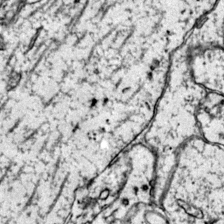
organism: Mouse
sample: Primary visual cortex